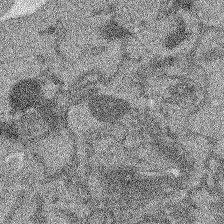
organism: Human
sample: HeLa cells